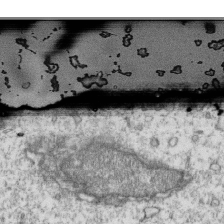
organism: Mouse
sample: Activated OT-1 CD8+ T cells